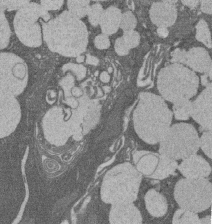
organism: Rat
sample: Salivary granule